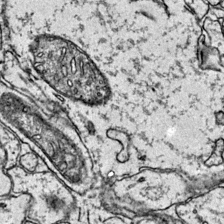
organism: Mouse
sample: Primary visual cortex